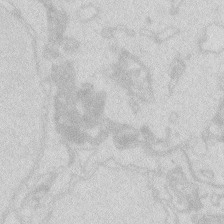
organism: Zebrafish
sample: Macrophage